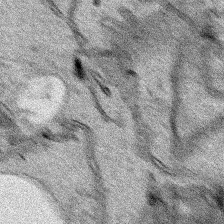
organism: Human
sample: Mitochondria in HCT116 cells